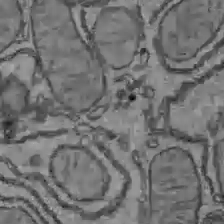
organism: C57BL Mouse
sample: Liver